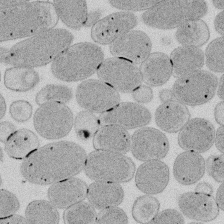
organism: E. coli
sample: Bacterial nucleoid